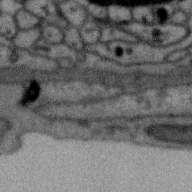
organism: Zebra finch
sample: Brain